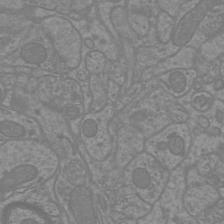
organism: Mouse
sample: Cortical neurons